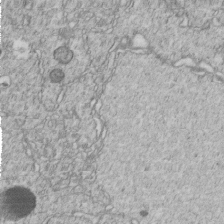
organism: C. elegans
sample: C. elegans embryo early stage